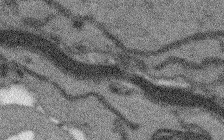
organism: Arabidopsis thaliana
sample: Root tip